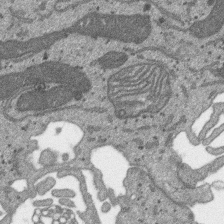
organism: Human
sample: Lung epithelial cells infected with SARS-CoV-2